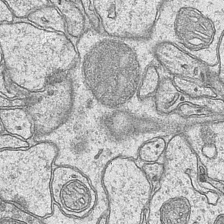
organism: Mouse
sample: CA1 Hippocampus